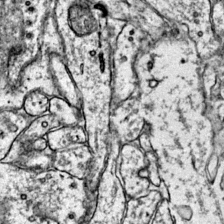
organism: Mouse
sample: Primary visual cortex